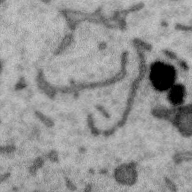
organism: Zebra finch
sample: Brain